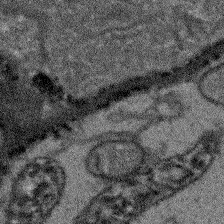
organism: Arabidopsis thaliana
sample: Root tip